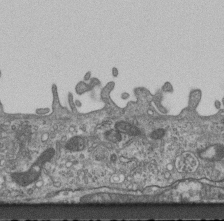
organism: Mouse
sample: Centriole in ependymal cells